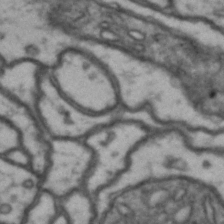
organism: Drosophila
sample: Brain